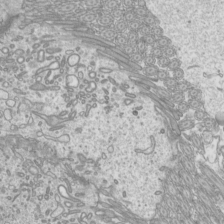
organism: Mouse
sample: Cilia; mouse epididymis